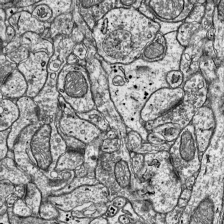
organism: Mouse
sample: Visual Cortex